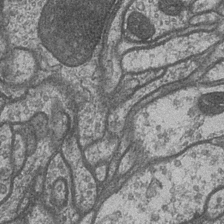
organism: Drosophila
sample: Optic medulla